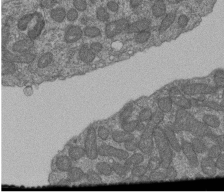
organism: Human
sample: Retinal organoid Rod and Cone cells